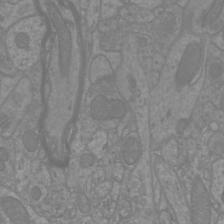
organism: Mouse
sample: Cortical neurons